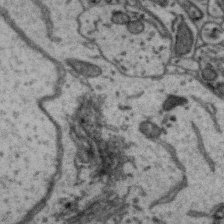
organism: Zebra finch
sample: Brain